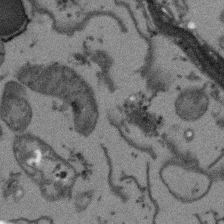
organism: Arabidopsis thaliana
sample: Root tip